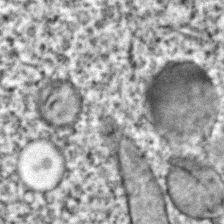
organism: C. elegans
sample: C. elegans embryo